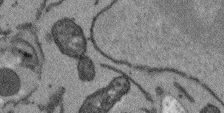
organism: Arabidopsis thaliana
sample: Root tip